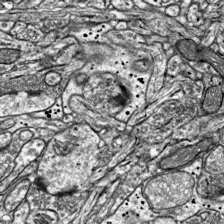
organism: Mouse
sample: Visual Cortex